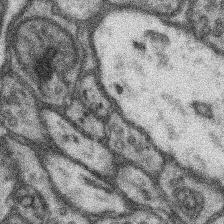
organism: Mouse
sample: Somatosensory cortex neuropil